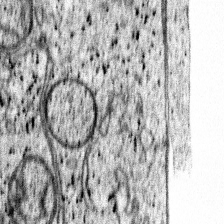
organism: Human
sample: HeLa cells